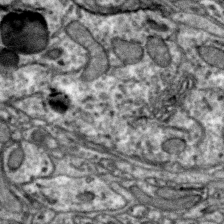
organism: Zebra finch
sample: Brain